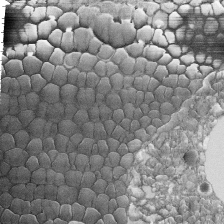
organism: Tetrahymena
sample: Cilia in tetrahymena